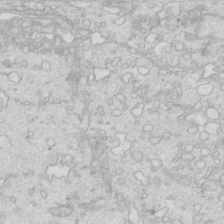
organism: Mouse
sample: Multiciliated cells